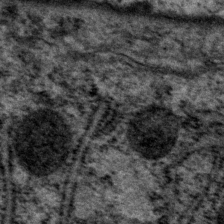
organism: P. pacificus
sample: Pharynx